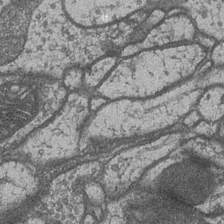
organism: Drosophila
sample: Optic medulla